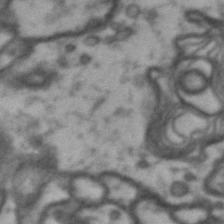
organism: Drosophila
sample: Brain